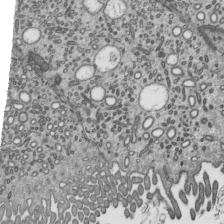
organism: Mouse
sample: Mouse epididymis efferent ductule cilia